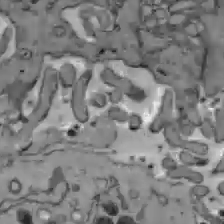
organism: C57BL Mouse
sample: Liver